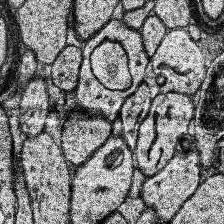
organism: Human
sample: Temporal Lobe